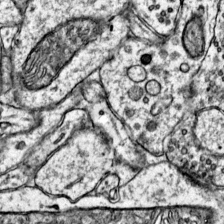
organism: Mouse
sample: Primary visual cortex